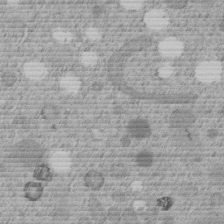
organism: C. elegans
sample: C. elegans embryo early stage